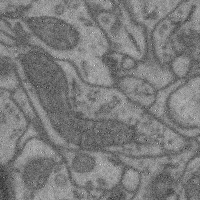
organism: Mouse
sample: Cerebral cortex